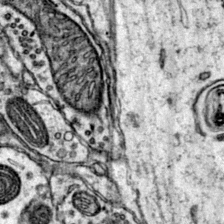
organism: Mouse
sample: Primary visual cortex